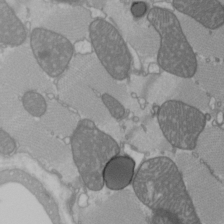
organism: C57BL Mouse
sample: Heart